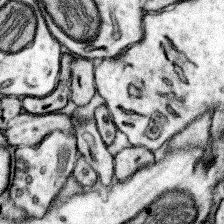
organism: Mouse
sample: Somatosensory cortex neuropil